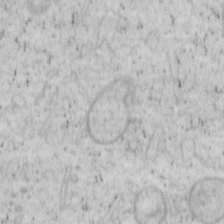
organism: Human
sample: HeLa cells